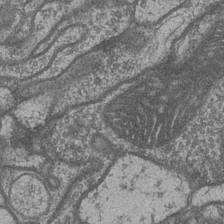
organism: Drosophila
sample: Optic medulla